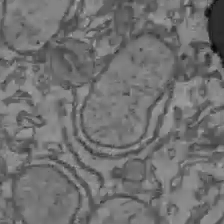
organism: C57BL Mouse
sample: Liver